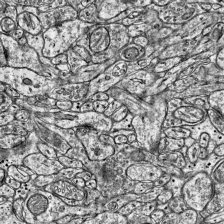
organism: Mouse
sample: Visual Cortex